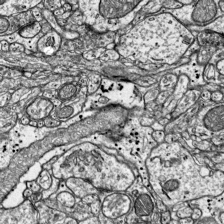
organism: Mouse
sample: Visual Cortex